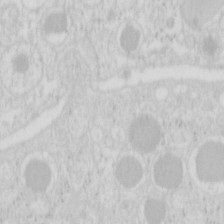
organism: Mouse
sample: Pancreas